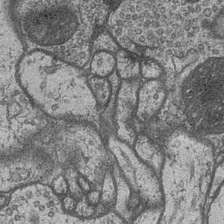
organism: Drosophila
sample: Optic medulla